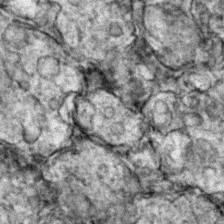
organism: Zebrafish